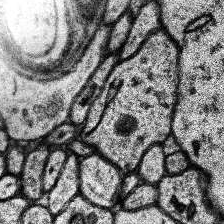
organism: Human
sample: Temporal Lobe